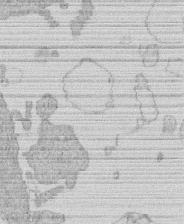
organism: Human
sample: Macrophage cells